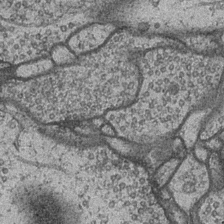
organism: Drosophila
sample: Optic medulla